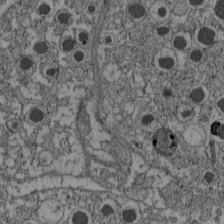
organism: C57BL Mouse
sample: Pancreatic islet